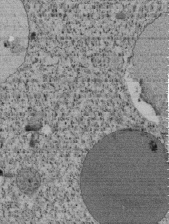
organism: Tetrahymena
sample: Cilia in tetrahymena